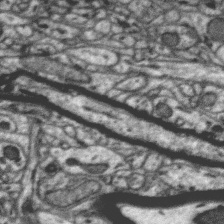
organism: Zebra finch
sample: Brain